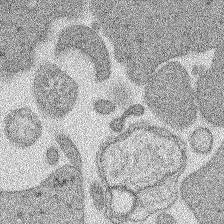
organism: Human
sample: HeLa cells